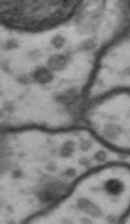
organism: Drosophila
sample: Brain